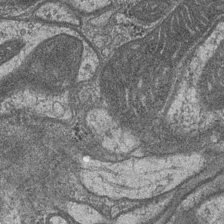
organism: Drosophila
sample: Optic medulla